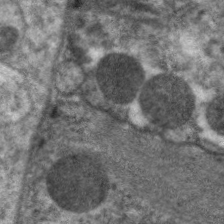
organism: C. elegans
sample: Pharynx